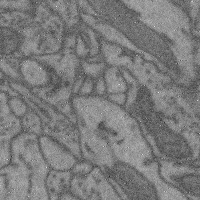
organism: Mouse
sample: Cerebral cortex